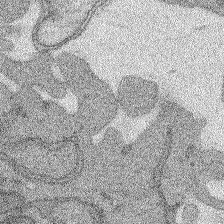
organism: Human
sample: HeLa cells